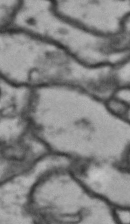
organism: Drosophila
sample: Brain